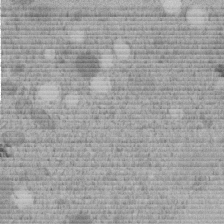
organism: C. elegans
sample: C. elegans embryo early stage